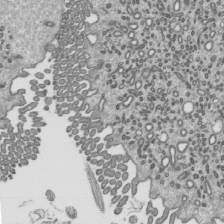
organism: Mouse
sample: Mouse epididymis efferent ductule cilia